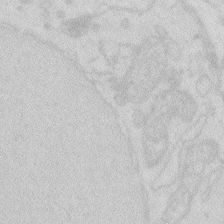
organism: Zebrafish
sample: Macrophage